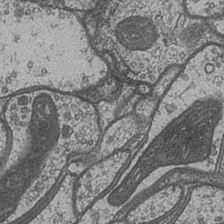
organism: Drosophila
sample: Optic medulla